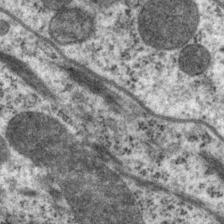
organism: P. pacificus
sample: Pharynx